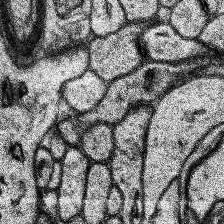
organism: Human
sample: Temporal Lobe